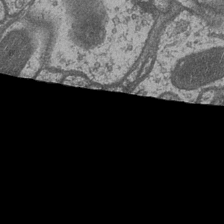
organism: Drosophila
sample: Optic medulla